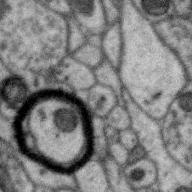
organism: Zebra finch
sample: Brain